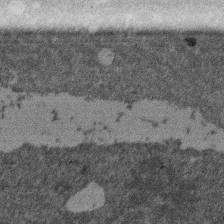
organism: Mouse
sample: Dividing mouse embryo 1 cell stage